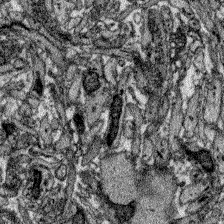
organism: Zebrafish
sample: Larval olfactory bulb